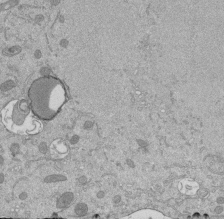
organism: Mouse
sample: ED-1 cell nuclei; centrioles